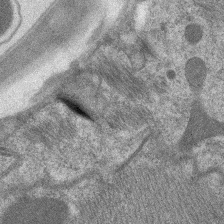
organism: C. elegans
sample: Pharynx